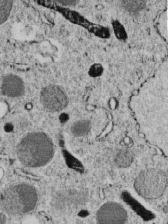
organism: C. elegans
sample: C. elegans embryo early stage